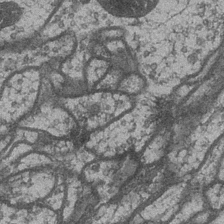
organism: Drosophila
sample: Optic medulla